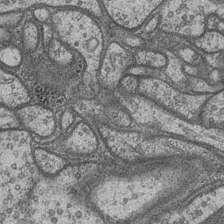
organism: Drosophila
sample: Optic medulla